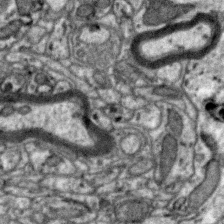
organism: Zebra finch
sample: Brain